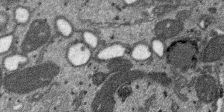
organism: Human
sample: Lung epithelial cells infected with SARS-CoV-2